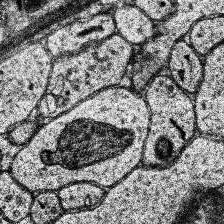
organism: Human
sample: Temporal Lobe